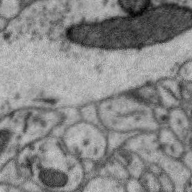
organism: Zebra finch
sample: Brain